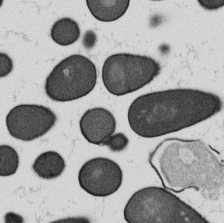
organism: B. subtilis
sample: Bacterial spore